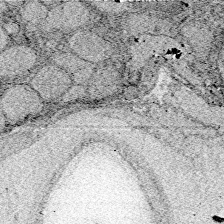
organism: Zebrafish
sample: Whole-Brain